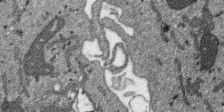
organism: Human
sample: Lung epithelial cells infected with SARS-CoV-2